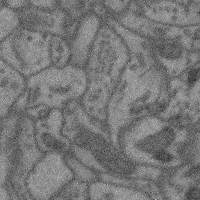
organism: Mouse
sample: Cerebral cortex